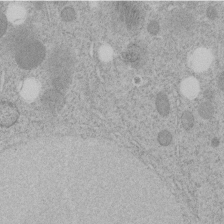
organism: C. elegans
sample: C. elegans embryo early stage